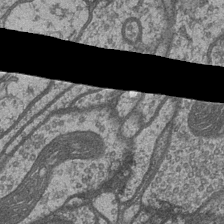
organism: Drosophila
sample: Optic medulla